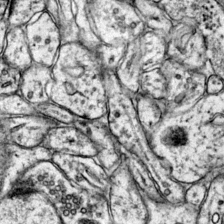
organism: Mouse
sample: Primary visual cortex